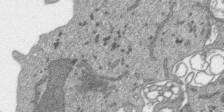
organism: Human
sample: Lung epithelial cells infected with SARS-CoV-2